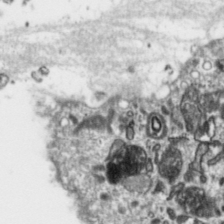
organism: Toxoplasma gondii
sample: Parasites in a vacuole inside a host cell